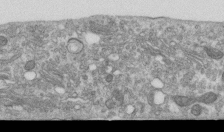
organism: Human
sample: Centriole in RPE cells